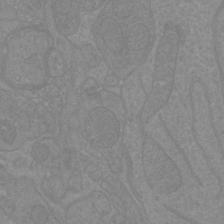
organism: Mouse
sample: Cortical neurons